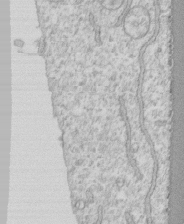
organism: Human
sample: CRL-1474